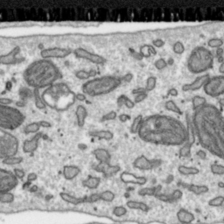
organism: Toxoplasma gondii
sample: Parasites in a vacuole inside a host cell